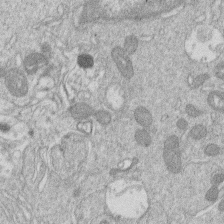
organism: Human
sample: Macrophage cells